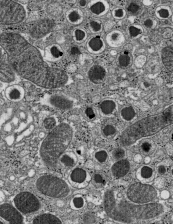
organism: C57BL Mouse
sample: Pancreatic islet